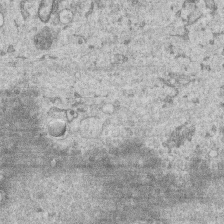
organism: Human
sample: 1205lu cells